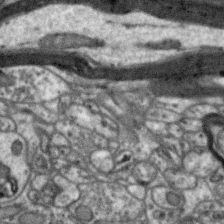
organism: Zebra finch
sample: Brain